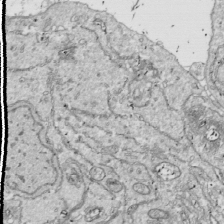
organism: Drosophila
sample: Cell division; meiosis; drosophila spermatocytes